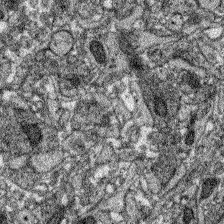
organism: Zebrafish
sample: Larval olfactory bulb